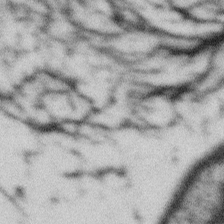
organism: Gemmata obscuriglobus